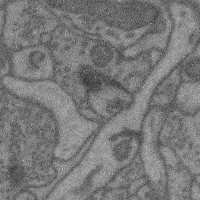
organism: Mouse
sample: Cerebral cortex